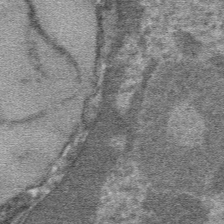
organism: Mouse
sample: Mouse hepatocytes